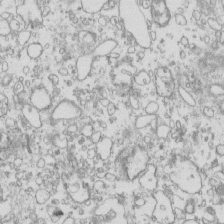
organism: Mouse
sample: Macrophages